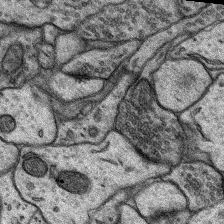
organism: Rat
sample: Hippocampus